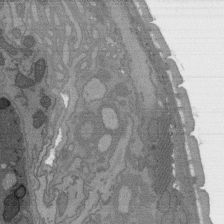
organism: C. elegans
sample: AFD neurons C. elegans